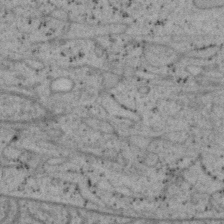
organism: Human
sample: HeLa cells